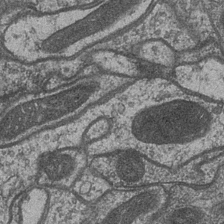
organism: Drosophila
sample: Optic medulla